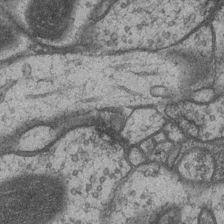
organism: Drosophila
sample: Optic medulla